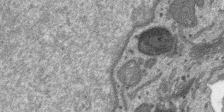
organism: Human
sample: Lung epithelial cells infected with SARS-CoV-2